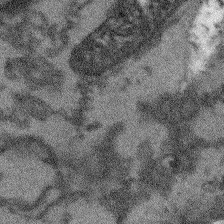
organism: Arabidopsis thaliana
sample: Root tip